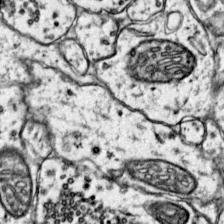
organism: Mouse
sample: Primary visual cortex